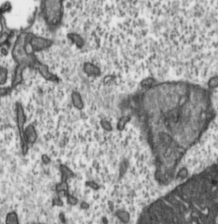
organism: Toxoplasma gondii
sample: Parasites in a vacuole inside a host cell